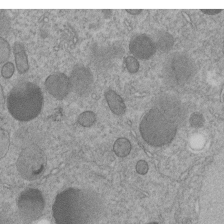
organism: C. elegans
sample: C. elegans embryo early stage